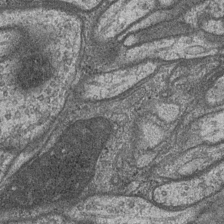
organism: Drosophila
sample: Optic medulla